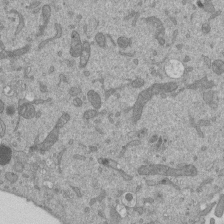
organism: Mouse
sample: ED-1 cell nuclei; centrioles